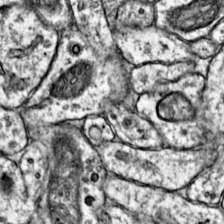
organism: Mouse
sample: Primary visual cortex